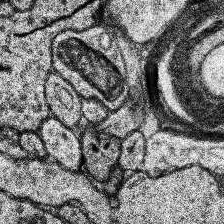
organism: Human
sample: Temporal Lobe